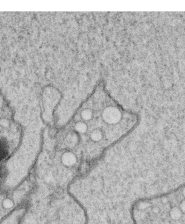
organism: C. elegans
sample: C. elegans oocyte; sperm cells